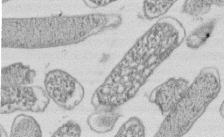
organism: E. coli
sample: Bacterial nucleoid